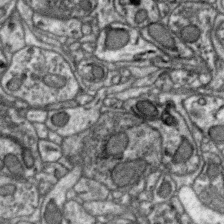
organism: Zebra finch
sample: Brain